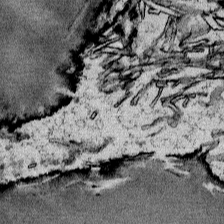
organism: Mouse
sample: Mouse Salivary gland